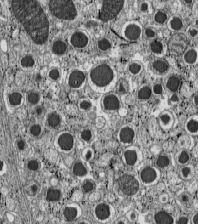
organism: C57BL Mouse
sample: Pancreatic islet